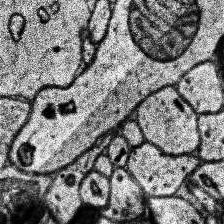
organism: Human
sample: Temporal Lobe